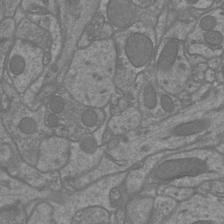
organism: Mouse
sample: Cortical neurons